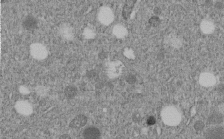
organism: C. elegans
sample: C. elegans embryo early stage